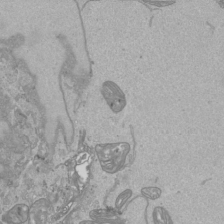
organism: Human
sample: Mitochondria in HCT116 cells